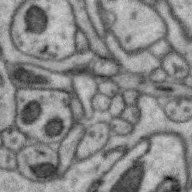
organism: Zebra finch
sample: Brain